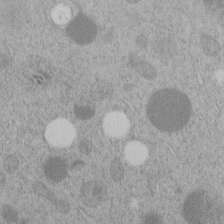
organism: C. elegans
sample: C. elegans embryo early stage